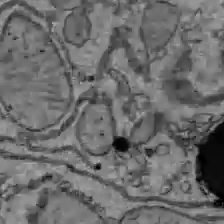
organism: C57BL Mouse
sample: Liver